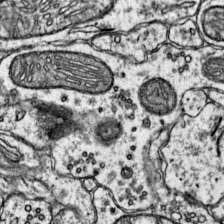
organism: Mouse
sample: Primary visual cortex